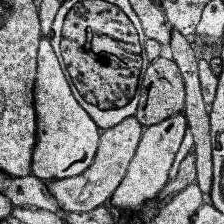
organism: Human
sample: Temporal Lobe